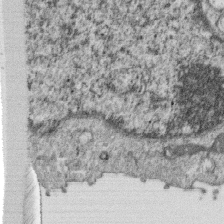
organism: African green monkey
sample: Vero E6 cells infected with SARS-CoV-2